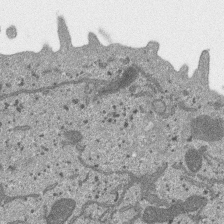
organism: Human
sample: Lung epithelial cells infected with SARS-CoV-2